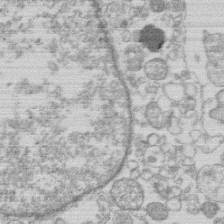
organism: Human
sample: Macrophage cells